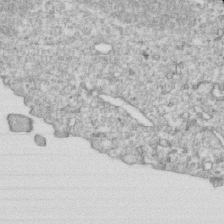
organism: Mouse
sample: Activated OT-1 CD8+ T cells